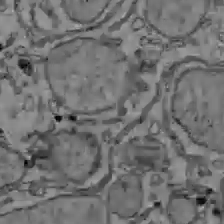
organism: C57BL Mouse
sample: Liver